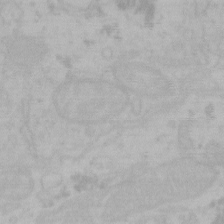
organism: Mouse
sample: Choroid plexus